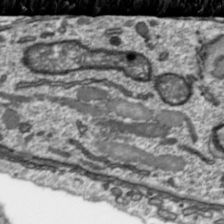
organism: Toxoplasma gondii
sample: Parasites in a vacuole inside a host cell